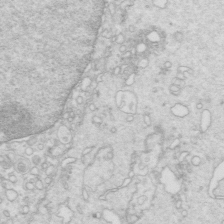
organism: Mouse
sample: Multiciliated cells